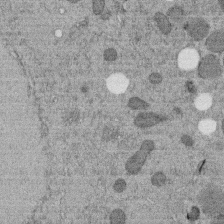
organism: C. elegans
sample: C. elegans embryo early stage